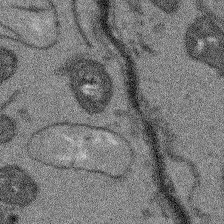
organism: Arabidopsis thaliana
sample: Root tip